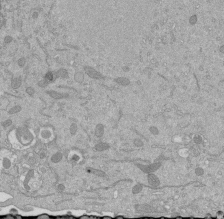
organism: Mouse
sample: ED-1 cell nuclei; centrioles